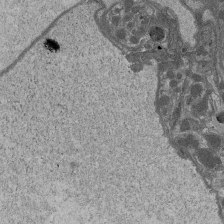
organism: Drosophila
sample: Antenna